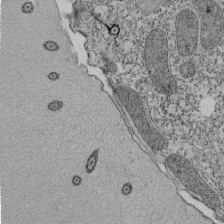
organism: Tetrahymena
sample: Cilia in tetrahymena